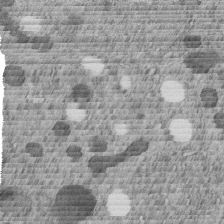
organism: C. elegans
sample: C. elegans embryo early stage